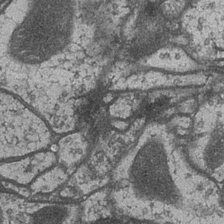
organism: Drosophila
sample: Optic medulla